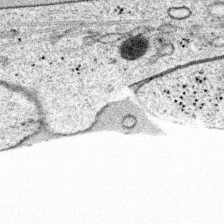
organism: Human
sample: HeLa cells